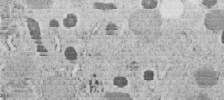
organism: C. elegans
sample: C. elegans embryo early stage